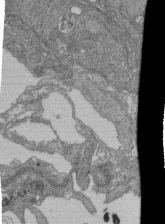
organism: Human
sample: Retinal organoid Rod and Cone cells